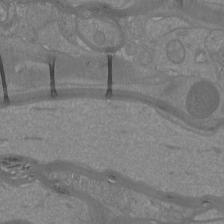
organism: Mouse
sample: Cortical neurons